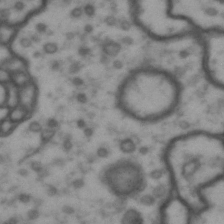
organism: Drosophila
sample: Brain